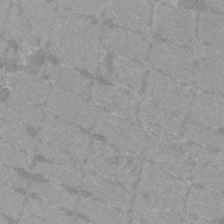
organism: C57BL Mouse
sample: Tibialis anterior muscle cell